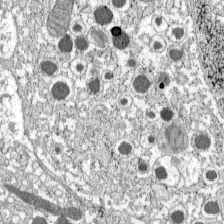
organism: C57BL Mouse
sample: Pancreatic islet